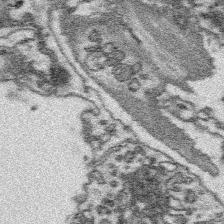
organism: Platynereis dumerilii